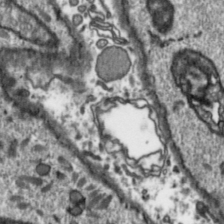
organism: Toxoplasma gondii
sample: Parasites in a vacuole inside a host cell